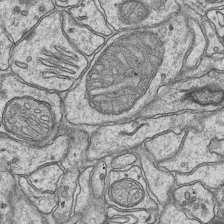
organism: Mouse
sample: CA1 Hippocampus